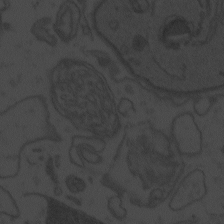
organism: Zebrafish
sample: Macrophage infected with Toxoplasma gondii